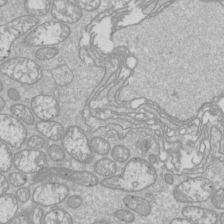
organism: Drosophila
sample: Cell division; meiosis; drosophila spermatocytes